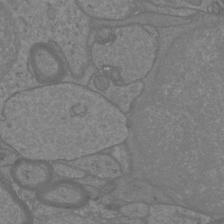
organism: Mouse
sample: Cortical neurons